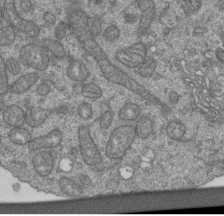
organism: Human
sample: Retinal organoid Rod and Cone cells